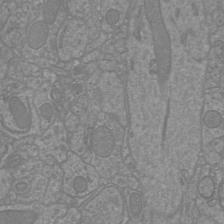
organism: Mouse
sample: Cortical neurons